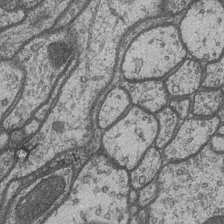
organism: Drosophila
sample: Optic medulla